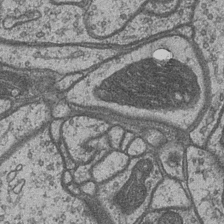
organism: Drosophila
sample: Optic medulla